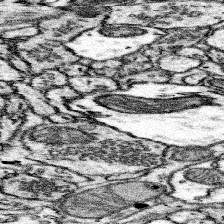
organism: Mouse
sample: Somatosensory cortex neuropil